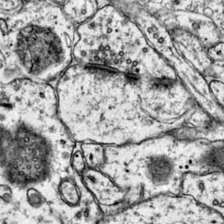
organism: Mouse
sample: Primary visual cortex